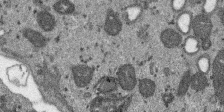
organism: Human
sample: Lung epithelial cells infected with SARS-CoV-2